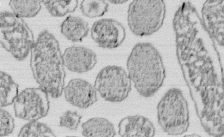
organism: E. coli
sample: Bacterial nucleoid